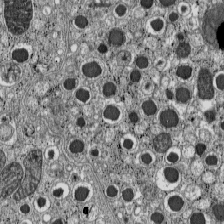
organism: C57BL Mouse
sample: Pancreatic islet